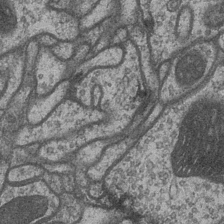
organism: Drosophila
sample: Optic medulla